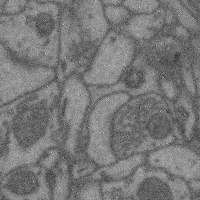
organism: Mouse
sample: Cerebral cortex